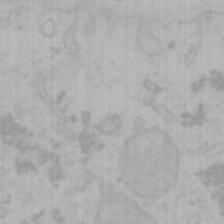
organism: Mouse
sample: Choroid plexus